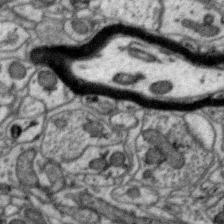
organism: Zebra finch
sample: Brain